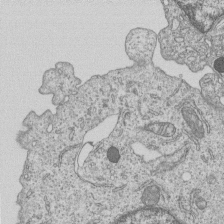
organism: Human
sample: MDA-MB-231 cells